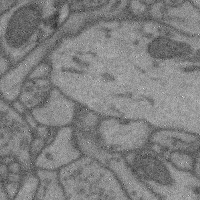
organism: Mouse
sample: Cerebral cortex